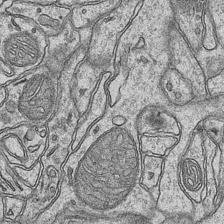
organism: Mouse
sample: CA1 Hippocampus